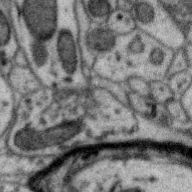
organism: Zebra finch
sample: Brain